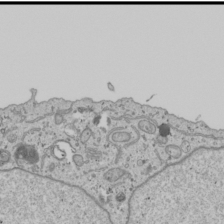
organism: Human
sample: Mitochondria in U2OS cells